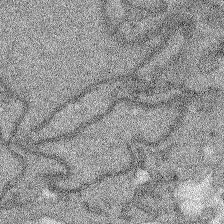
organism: Human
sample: HeLa cells